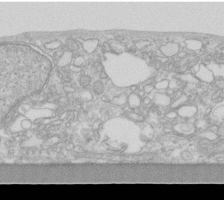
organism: Human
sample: Fibroblast cells